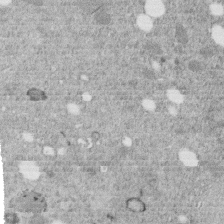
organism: C. elegans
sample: C. elegans embryo early stage